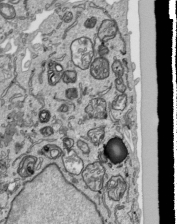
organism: Human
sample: Mitochondria in HCT116 cells